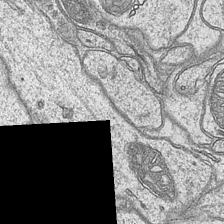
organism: Mouse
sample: CA1 Hippocampus